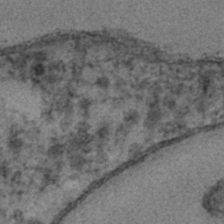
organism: C. elegans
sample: C. elegans embryo